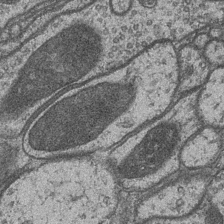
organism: Drosophila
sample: Optic medulla